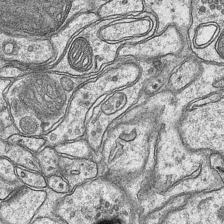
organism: Mouse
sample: CA1 Hippocampus